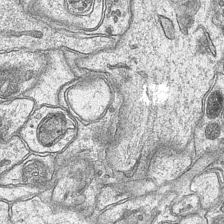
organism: Mouse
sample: CA1 Hippocampus